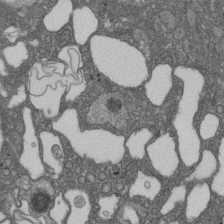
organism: Drosophila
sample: Nephrocyte